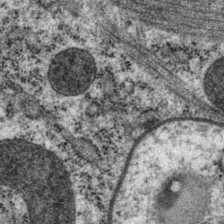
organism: P. pacificus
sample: Pharynx